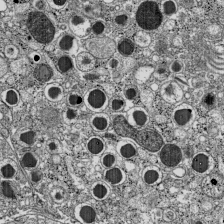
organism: C57BL Mouse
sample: Pancreatic islet